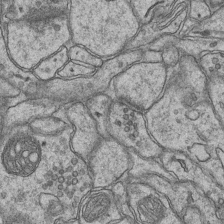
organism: Mouse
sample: CA1 Hippocampus